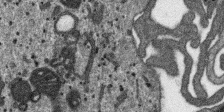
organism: Human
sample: Lung epithelial cells infected with SARS-CoV-2